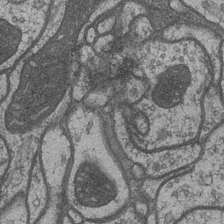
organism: Drosophila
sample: Optic medulla